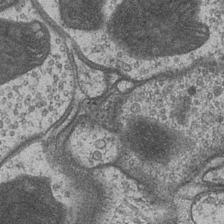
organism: Drosophila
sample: Optic medulla